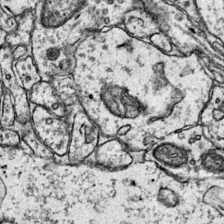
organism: Mouse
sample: Primary visual cortex